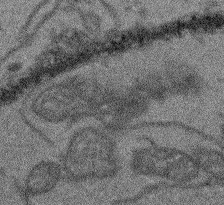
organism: Arabidopsis thaliana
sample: Root tip